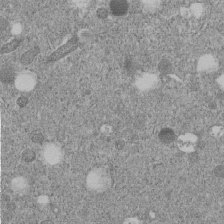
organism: C. elegans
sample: C. elegans embryo early stage